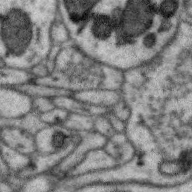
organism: Zebra finch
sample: Brain